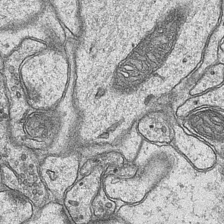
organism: Mouse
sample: CA1 Hippocampus